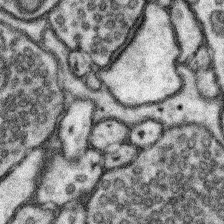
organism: Mouse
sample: Somatosensory cortex neuropil